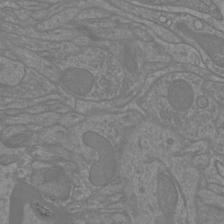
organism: Mouse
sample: Cortical neurons